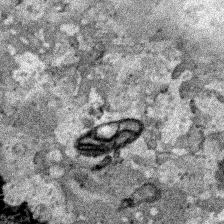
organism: Human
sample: Mitochondria in HCT116 cells